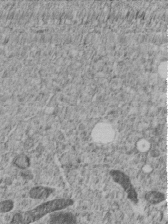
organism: C. elegans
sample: C. elegans embryo early stage